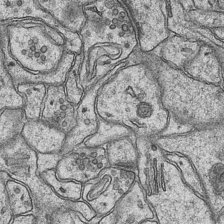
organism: Mouse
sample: CA1 Hippocampus